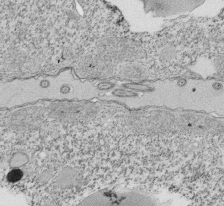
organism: Tetrahymena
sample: Cilia in tetrahymena